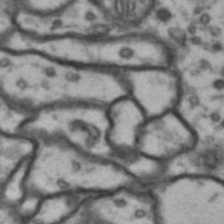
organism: Drosophila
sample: Brain